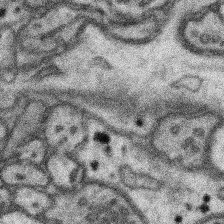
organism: Mouse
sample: Somatosensory cortex neuropil